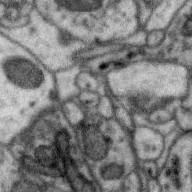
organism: Zebra finch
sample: Brain